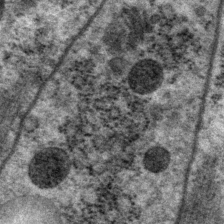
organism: P. pacificus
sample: Pharynx